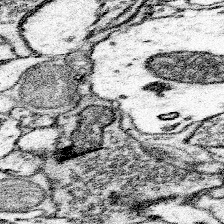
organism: Mouse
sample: Somatosensory cortex neuropil